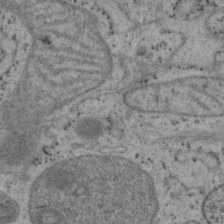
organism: Human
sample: HeLa cells